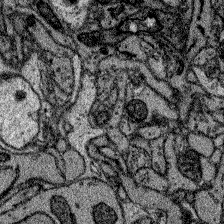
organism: Zebrafish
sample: Larval olfactory bulb